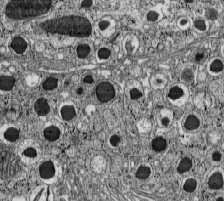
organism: C57BL Mouse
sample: Pancreatic islet